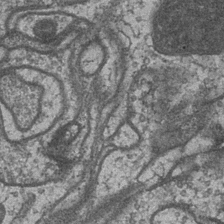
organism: Drosophila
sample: Optic medulla